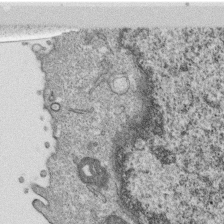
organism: African green monkey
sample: Vero E6 cells infected with SARS-CoV-2